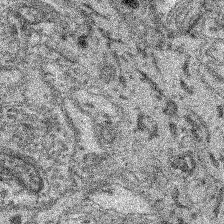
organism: Mouse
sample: Retina